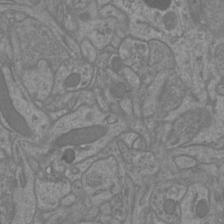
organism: Mouse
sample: Cortical neurons